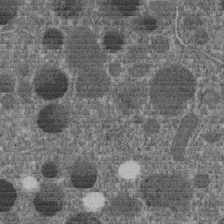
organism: C. elegans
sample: C. elegans embryo early stage